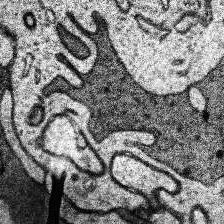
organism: Human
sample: Temporal Lobe